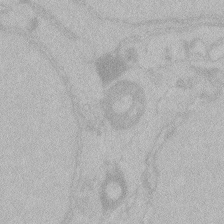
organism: Zebrafish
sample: Macrophage infected with Toxoplasma gondii